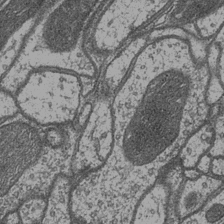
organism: Drosophila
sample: Optic medulla